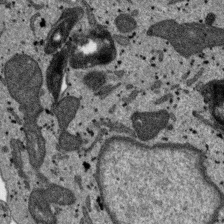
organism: Human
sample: Lung epithelial cells, uninfected (mock) control